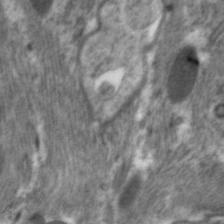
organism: C. elegans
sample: Pharynx